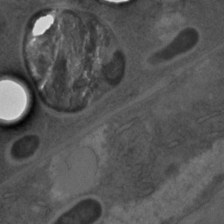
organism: C. elegans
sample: C. elegans embryo